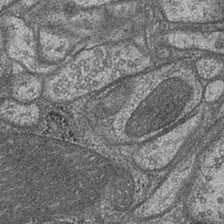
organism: Drosophila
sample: Optic medulla